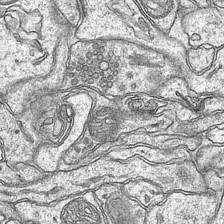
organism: Mouse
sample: CA1 Hippocampus